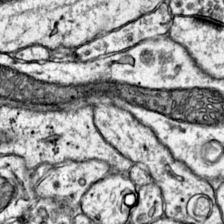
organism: Mouse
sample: Primary visual cortex